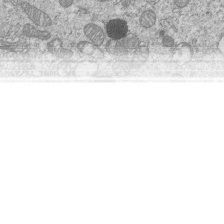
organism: Human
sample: MDA-MB-231 cells